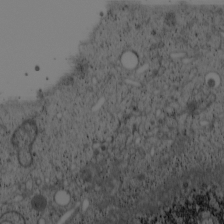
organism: African green monkey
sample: COS-7 cells